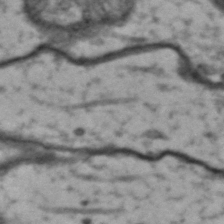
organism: Drosophila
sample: Brain